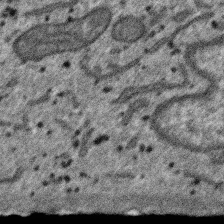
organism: Human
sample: Lung epithelial cells infected with SARS-CoV-2